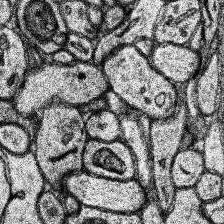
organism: Human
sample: Temporal Lobe